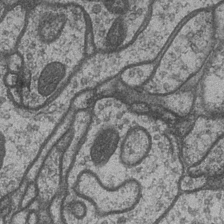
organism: Drosophila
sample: Optic medulla